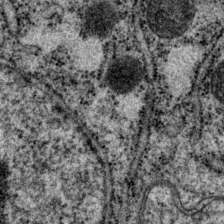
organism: P. pacificus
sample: Pharynx